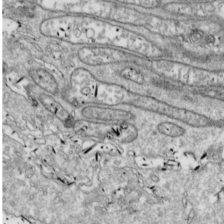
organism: Drosophila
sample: Cell division; meiosis; drosophila spermatocytes